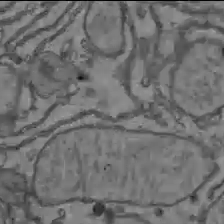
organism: C57BL Mouse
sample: Liver